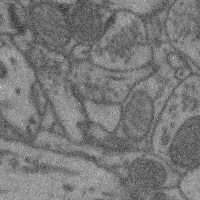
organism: Mouse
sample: Cerebral cortex